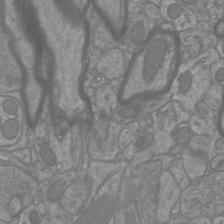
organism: Mouse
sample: Cortical neurons